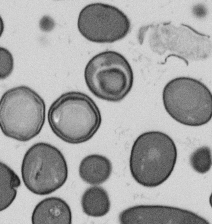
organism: B. subtilis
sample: Bacterial spore